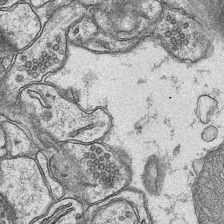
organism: Mouse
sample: CA1 Hippocampus